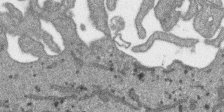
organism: Human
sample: Lung epithelial cells infected with SARS-CoV-2